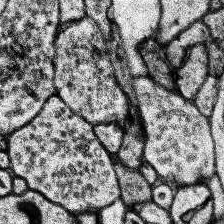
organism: Human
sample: Temporal Lobe